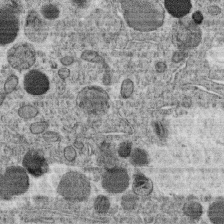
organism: C. elegans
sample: C. elegans oocyte; sperm cells